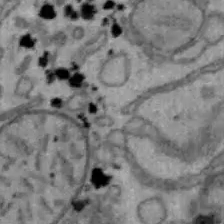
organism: Mouse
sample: Liver